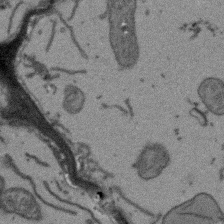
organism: Arabidopsis thaliana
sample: Root tip